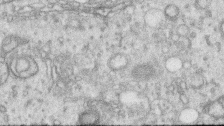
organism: Human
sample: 1205lu cells